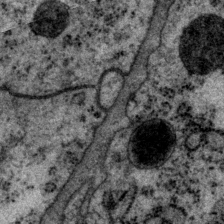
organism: P. pacificus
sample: Pharynx